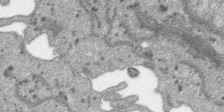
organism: Human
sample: Lung epithelial cells infected with SARS-CoV-2